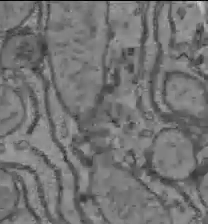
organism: C57BL Mouse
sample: Liver